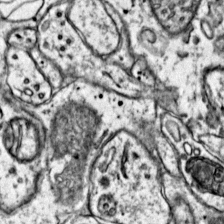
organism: Mouse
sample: Primary visual cortex